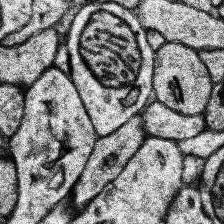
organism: Human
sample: Temporal Lobe